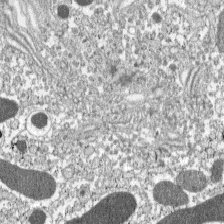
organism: C57BL Mouse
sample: Pancreatic islet